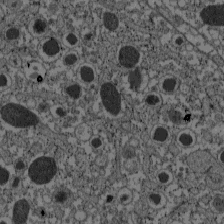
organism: C57BL Mouse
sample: Pancreatic islet